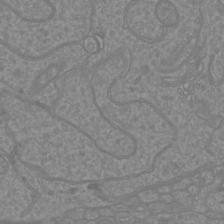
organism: Mouse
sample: Cortical neurons